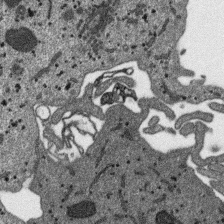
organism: Human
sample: Lung epithelial cells infected with SARS-CoV-2